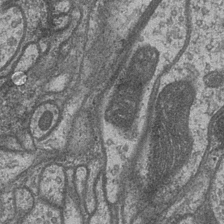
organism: Drosophila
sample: Optic medulla